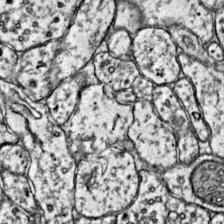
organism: Mouse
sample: Primary visual cortex